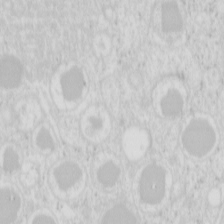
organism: Mouse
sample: Pancreas